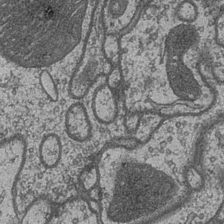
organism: Drosophila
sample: Optic medulla